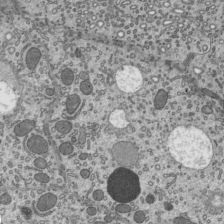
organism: Mouse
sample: Mouse epididymis efferent ductule cilia